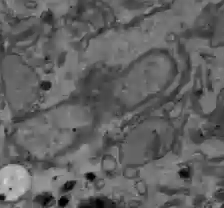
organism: C57BL Mouse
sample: Liver